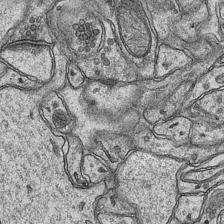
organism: Mouse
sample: CA1 Hippocampus